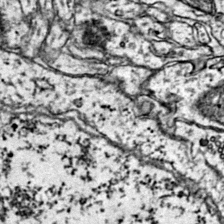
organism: Mouse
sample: Primary visual cortex